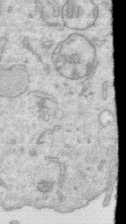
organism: Human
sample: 1205lu cells